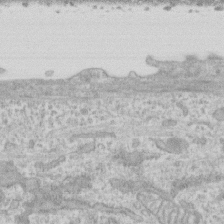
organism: Human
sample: CRL-1474